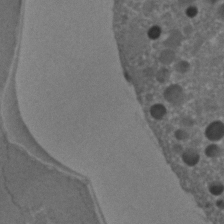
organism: C. elegans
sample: C. elegans embryo